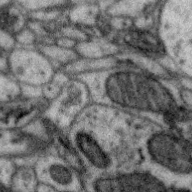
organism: Zebra finch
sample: Brain